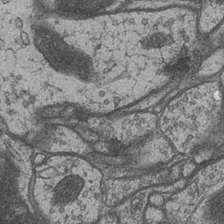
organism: Drosophila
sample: Optic medulla